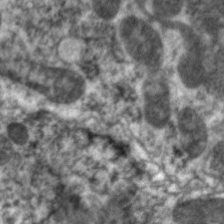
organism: C. elegans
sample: Pharynx